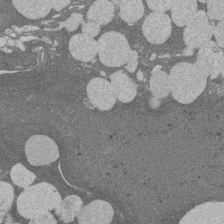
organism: Rat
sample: Salivary granule